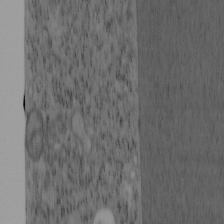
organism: Human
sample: HeLa cells